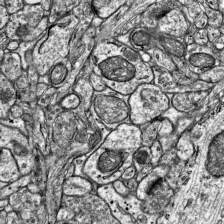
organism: Mouse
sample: Visual Cortex